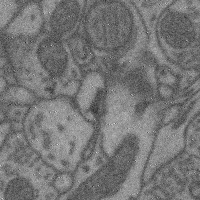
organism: Mouse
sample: Cerebral cortex